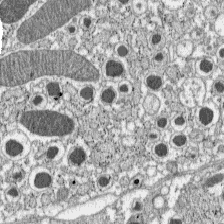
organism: C57BL Mouse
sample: Pancreatic islet